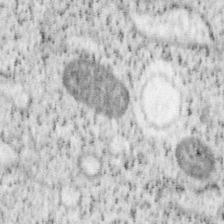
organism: Mouse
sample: OT-I killer T cells with ID8 ovarian cancer cells